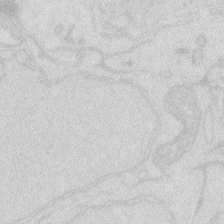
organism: Zebrafish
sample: Macrophage